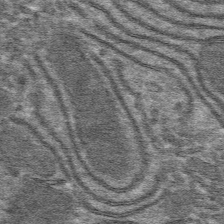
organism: Mouse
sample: Mouse hepatocytes